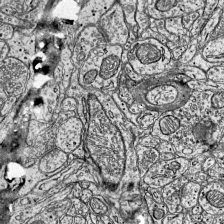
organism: Mouse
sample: Visual Cortex